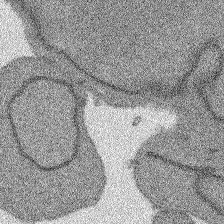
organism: Human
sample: HeLa cells